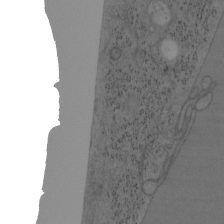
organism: Mouse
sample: OT-I killer T cells with ID8 ovarian cancer cells